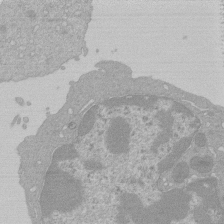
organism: Mouse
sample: Activated Pmel transgenic CD8+ T Cells